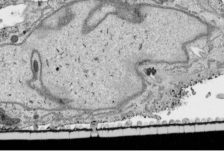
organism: Human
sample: Mitochondria in HCT116 cells